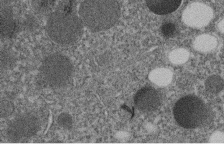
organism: C. elegans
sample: C. elegans embryo early stage